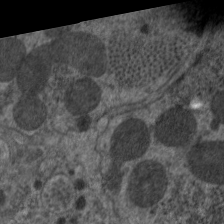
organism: C. elegans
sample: Pharynx